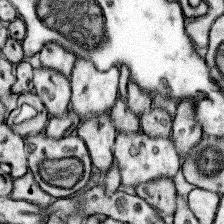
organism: Mouse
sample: Somatosensory cortex neuropil